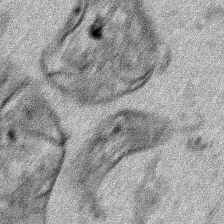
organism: Human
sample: Mitochondria in HCT116 cells